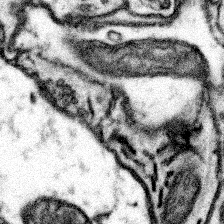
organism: Mouse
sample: Somatosensory cortex neuropil